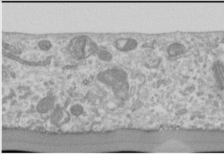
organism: Human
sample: Cilia; basal body in RPE cells